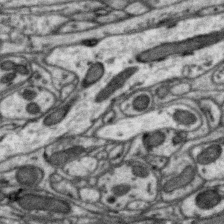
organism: Zebra finch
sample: Brain